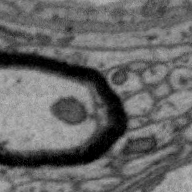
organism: Zebra finch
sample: Brain